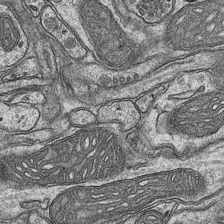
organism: Mouse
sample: CA1 Hippocampus